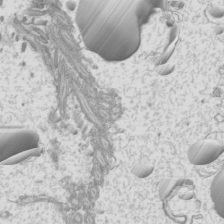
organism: Mouse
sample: Cilia; mouse epididymis